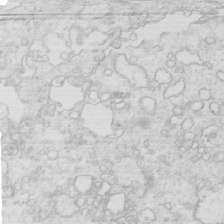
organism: Mouse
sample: Multiciliated cells